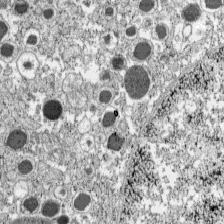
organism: C57BL Mouse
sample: Pancreatic islet